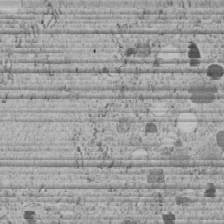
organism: C. elegans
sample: C. elegans embryo early stage